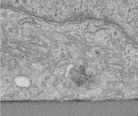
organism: Human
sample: Centriole in RPE cells